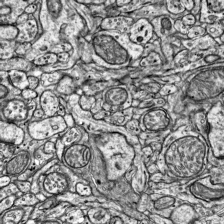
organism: Mouse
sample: Visual Cortex